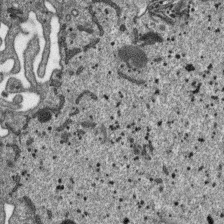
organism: Human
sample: Lung epithelial cells infected with SARS-CoV-2